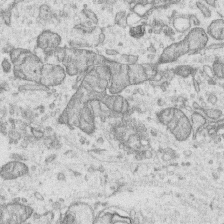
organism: Human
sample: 1205lu cells